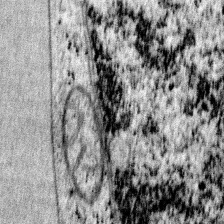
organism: Human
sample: HeLa cells